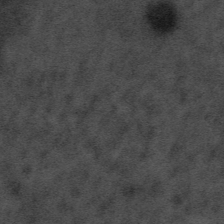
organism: Tuwongella immobilis